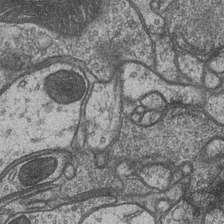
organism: Drosophila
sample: Optic medulla